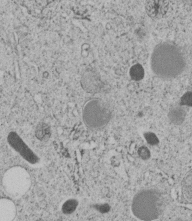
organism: C. elegans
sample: C. elegans embryo early stage